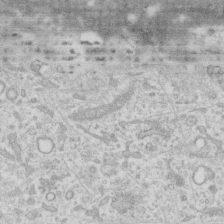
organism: Human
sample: Fibroblast cells